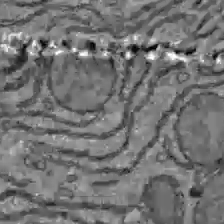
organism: C57BL Mouse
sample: Liver